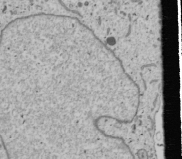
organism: Human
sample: Mitochondria in U2OS cells